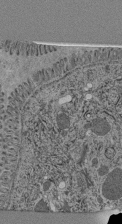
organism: C. elegans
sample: C. elegans pharynx